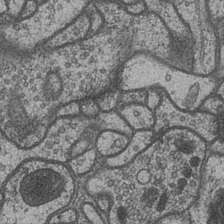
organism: Drosophila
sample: Optic medulla